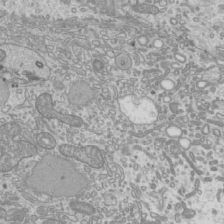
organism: Mouse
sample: Cilia; mouse epididymis